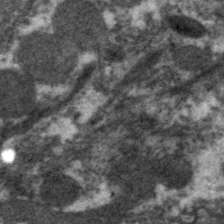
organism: C. elegans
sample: Pharynx